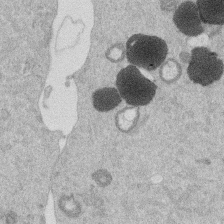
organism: Mouse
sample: Dividing mouse embryo 1 cell stage